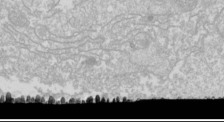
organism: Drosophila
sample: Cell division; meiosis; drosophila spermatocytes